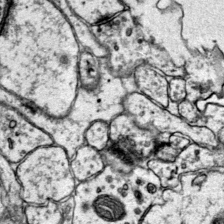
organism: Mouse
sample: Primary visual cortex